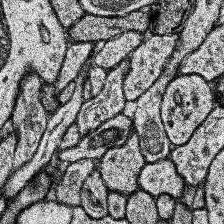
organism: Human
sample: Temporal Lobe